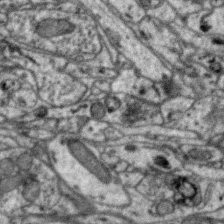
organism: Zebra finch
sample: Brain